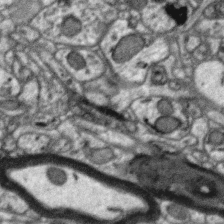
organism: Zebra finch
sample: Brain